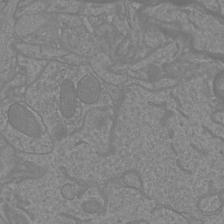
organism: Mouse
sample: Cortical neurons